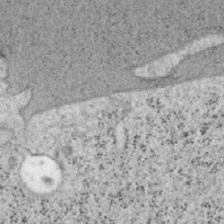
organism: Mouse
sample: OT-I killer T cells with ID8 ovarian cancer cells